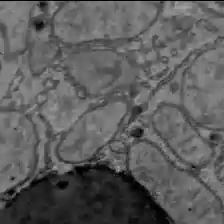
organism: C57BL Mouse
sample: Liver